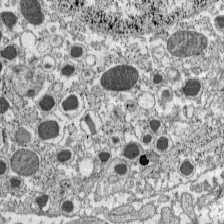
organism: C57BL Mouse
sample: Pancreatic islet